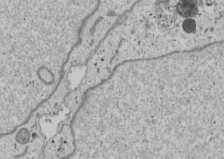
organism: Human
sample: Mitochondria in U2OS cells